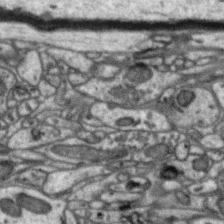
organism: Zebra finch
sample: Brain